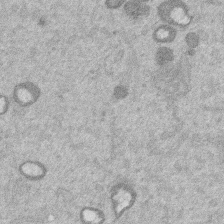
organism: Mouse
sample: Dividing mouse embryo 1 cell stage